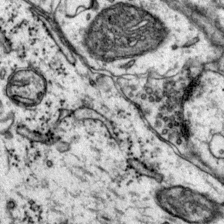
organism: Mouse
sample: Primary visual cortex